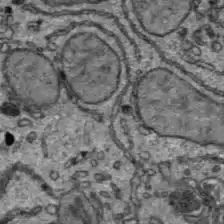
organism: C57BL Mouse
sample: Liver